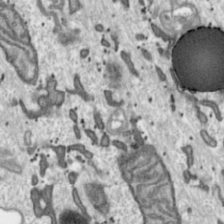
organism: Toxoplasma gondii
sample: Parasites in a vacuole inside a host cell